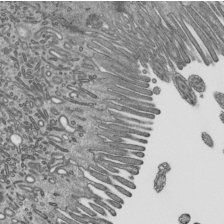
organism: Mouse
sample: Mouse epididymis efferent ductule cilia